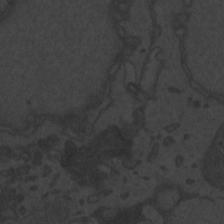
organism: Zebrafish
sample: Macrophage infected with Toxoplasma gondii